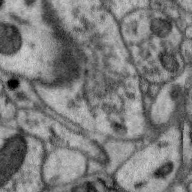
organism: Zebra finch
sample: Brain